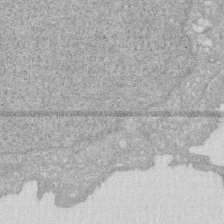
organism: Human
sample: HIV infected U937 cells